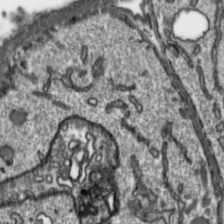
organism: Toxoplasma gondii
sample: Parasites in a vacuole inside a host cell